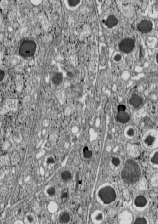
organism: C57BL Mouse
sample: Pancreatic islet